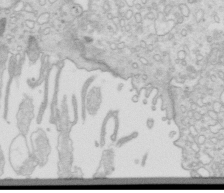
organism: Mouse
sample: Multiciliated cells